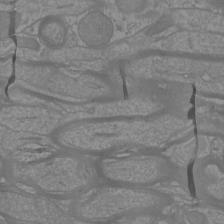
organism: Mouse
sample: Cortical neurons